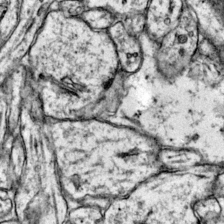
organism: Mouse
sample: Primary visual cortex